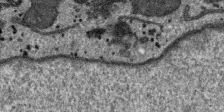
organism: Human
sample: Lung epithelial cells, uninfected (mock) control